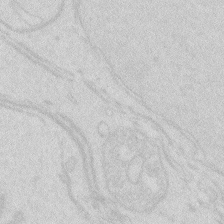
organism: Zebrafish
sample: Macrophage